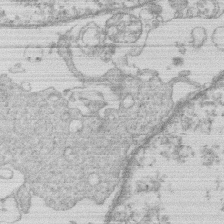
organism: Human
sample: Macrophage cells